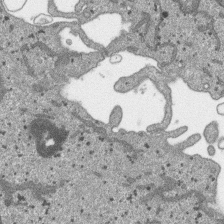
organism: Human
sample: Lung epithelial cells infected with SARS-CoV-2